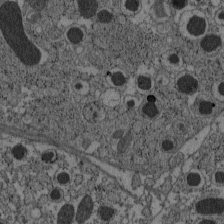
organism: C57BL Mouse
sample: Pancreatic islet